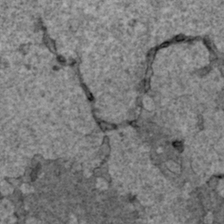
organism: Human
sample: Mitochondria in HCT116 cells